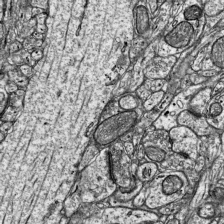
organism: Mouse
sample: Visual Cortex